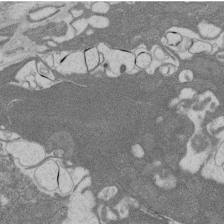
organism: Rat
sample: Salivary granule